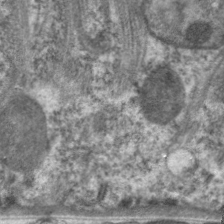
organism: C. elegans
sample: Pharynx